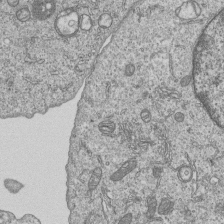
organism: Human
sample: MDA-MB-231 cells